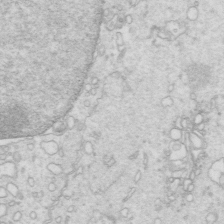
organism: Mouse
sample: Multiciliated cells